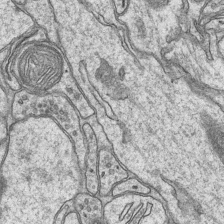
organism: Mouse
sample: CA1 Hippocampus